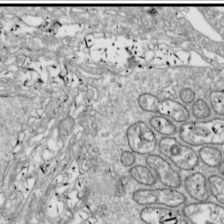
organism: Drosophila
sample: Cell division; meiosis; drosophila spermatocytes